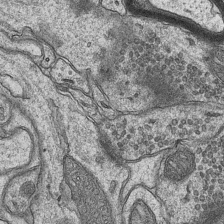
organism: Mouse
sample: CA1 Hippocampus